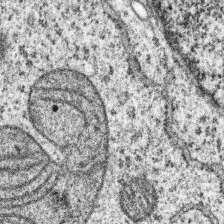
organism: Human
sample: HeLa cells